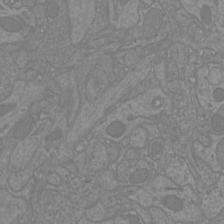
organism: Mouse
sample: Cortical neurons